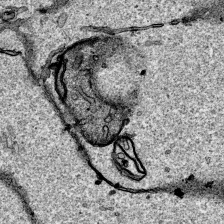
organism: Human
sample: Mitochondria in HCT116 cells